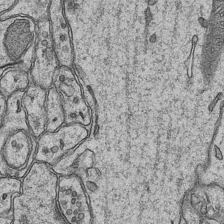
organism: Mouse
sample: CA1 Hippocampus